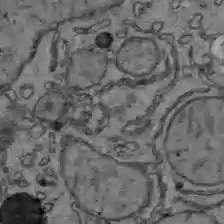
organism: C57BL Mouse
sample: Liver